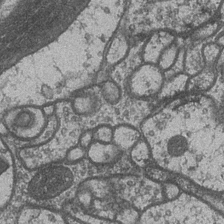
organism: Drosophila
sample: Optic medulla